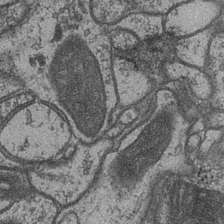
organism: Drosophila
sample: Optic medulla